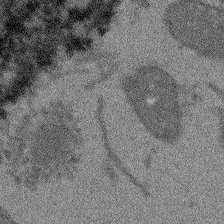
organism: Arabidopsis thaliana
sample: Root tip